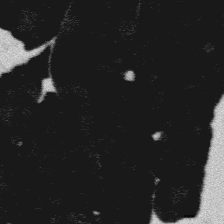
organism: Platynereis dumerilii